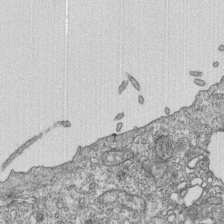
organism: Human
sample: HeLa cell HIV synapse